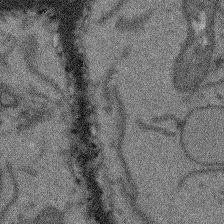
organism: Arabidopsis thaliana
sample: Root tip